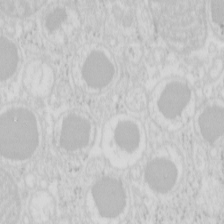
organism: Mouse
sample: Pancreas